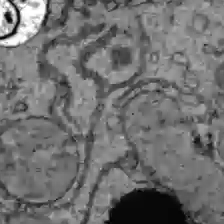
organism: C57BL Mouse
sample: Liver